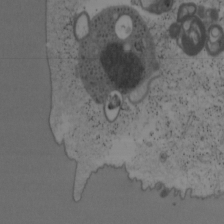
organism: Mouse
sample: OT-I killer T cells with ID8 ovarian cancer cells